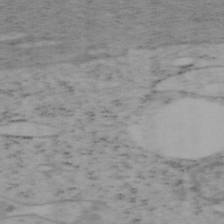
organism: Mouse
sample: OT-I killer T cells with ID8 ovarian cancer cells